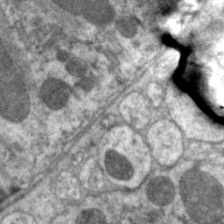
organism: C. elegans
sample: Pharynx